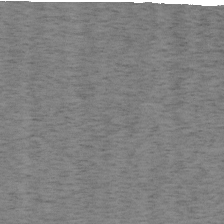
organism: Mouse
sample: OT-I killer T cells with ID8 ovarian cancer cells